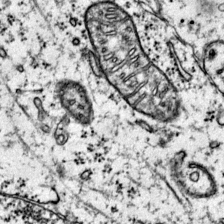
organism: Mouse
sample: Primary visual cortex